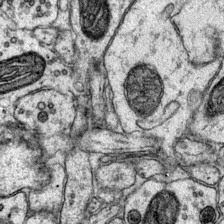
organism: Mouse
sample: Primary visual cortex